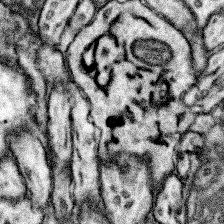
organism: Mouse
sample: Somatosensory cortex neuropil